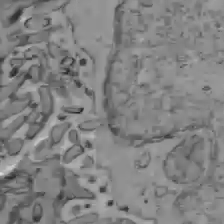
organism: C57BL Mouse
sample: Liver